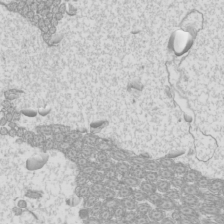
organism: Mouse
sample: Cilia; mouse epididymis